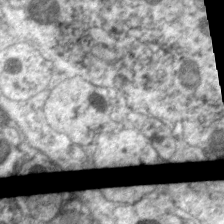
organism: C. elegans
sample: Pharynx